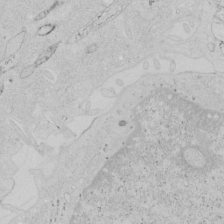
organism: Human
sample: Mitochondria in HCT116 cells